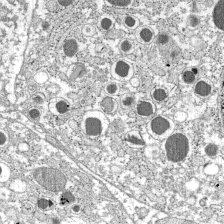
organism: C57BL Mouse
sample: Pancreatic islet